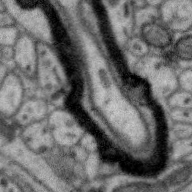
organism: Zebra finch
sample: Brain